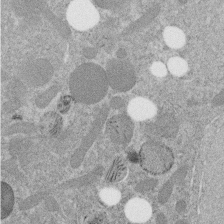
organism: C. elegans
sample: C. elegans embryo early stage